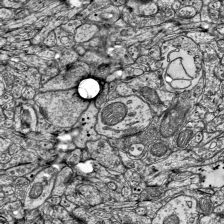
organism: Mouse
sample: Visual Cortex